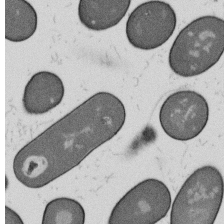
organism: B. subtilis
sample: Bacterial spore